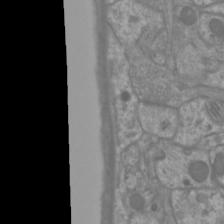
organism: Mouse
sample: Cortical neurons